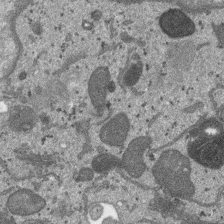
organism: Human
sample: Lung epithelial cells infected with SARS-CoV-2